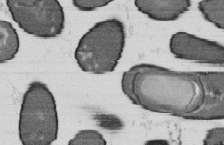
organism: B. subtilis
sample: Bacterial spore